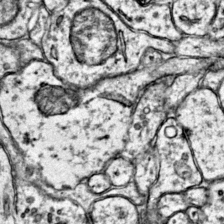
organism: Mouse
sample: Primary visual cortex